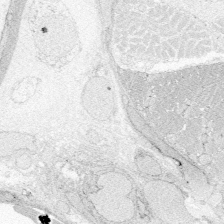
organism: Zebrafish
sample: Whole-Brain